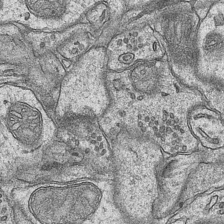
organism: Mouse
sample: CA1 Hippocampus